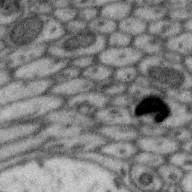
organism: Zebra finch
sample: Brain